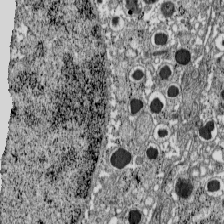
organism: C57BL Mouse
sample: Pancreatic islet